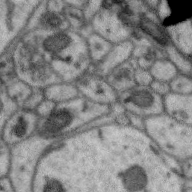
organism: Zebra finch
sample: Brain